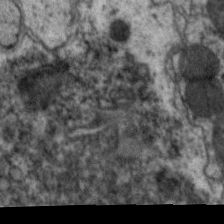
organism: C. elegans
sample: Pharynx